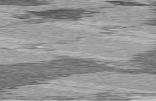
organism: C57BL Mouse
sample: Heart